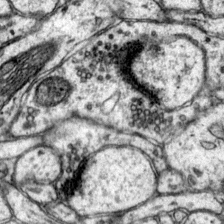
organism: Mouse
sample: Primary visual cortex